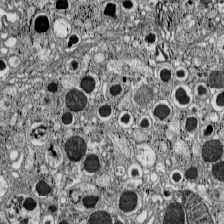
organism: C57BL Mouse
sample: Pancreatic islet